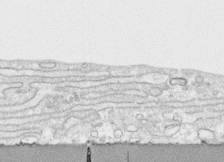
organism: Human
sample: CRL-1474